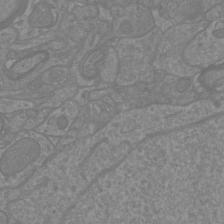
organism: Mouse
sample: Cortical neurons